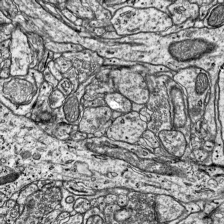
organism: Mouse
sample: Visual Cortex